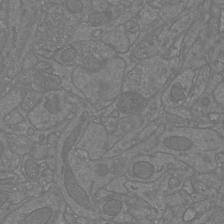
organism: Mouse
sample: Cortical neurons